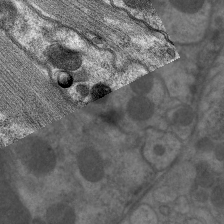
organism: C. elegans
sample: Pharynx